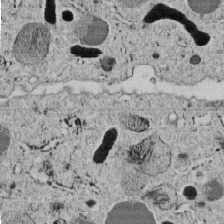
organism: C. elegans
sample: C. elegans embryo early stage